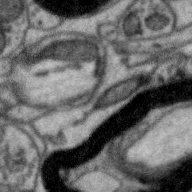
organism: Zebra finch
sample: Brain